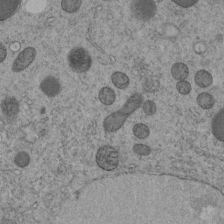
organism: C. elegans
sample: C. elegans embryo early stage